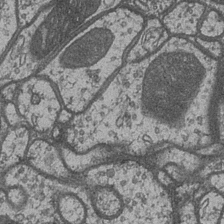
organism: Drosophila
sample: Optic medulla